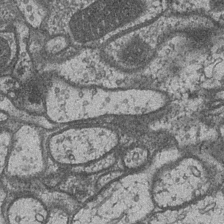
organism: Drosophila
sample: Optic medulla